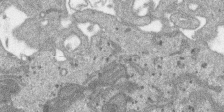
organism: Human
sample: Lung epithelial cells infected with SARS-CoV-2